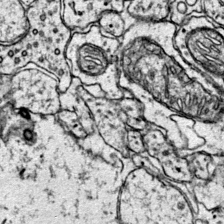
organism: Mouse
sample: Primary visual cortex